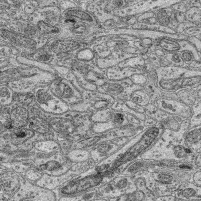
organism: Mouse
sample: Retina